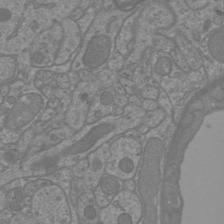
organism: Mouse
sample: Cortical neurons